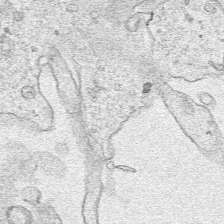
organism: Human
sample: Mitochondria in HCT116 cells